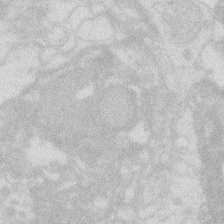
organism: Zebrafish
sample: Macrophage